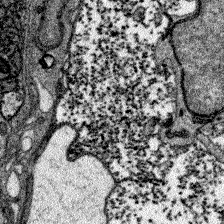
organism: Zebrafish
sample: Larval olfactory bulb